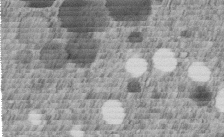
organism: C. elegans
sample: C. elegans embryo early stage